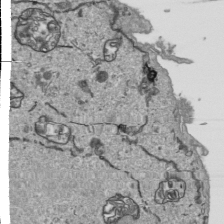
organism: Human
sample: Mitochondria in HCT116 cells